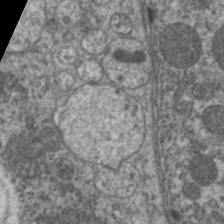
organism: C. elegans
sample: Pharynx